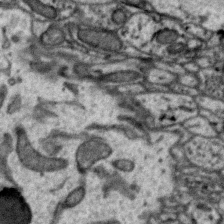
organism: Zebra finch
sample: Brain